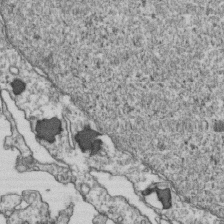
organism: Human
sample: Activated Jurkat CD4+ T cells